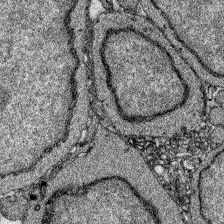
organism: Zebrafish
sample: Larval olfactory bulb